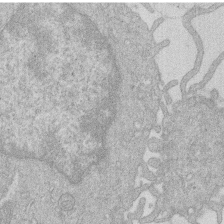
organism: Human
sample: Macrophage cells